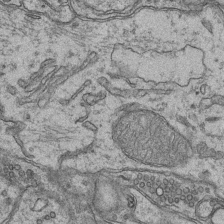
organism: Mouse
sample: CA1 Hippocampus